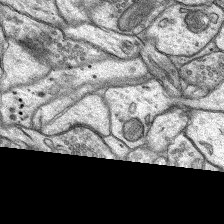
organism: Rat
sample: Hippocampus